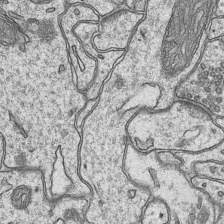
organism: Mouse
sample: CA1 Hippocampus